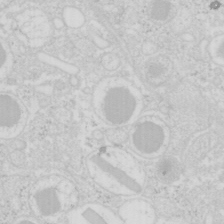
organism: Mouse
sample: Pancreas